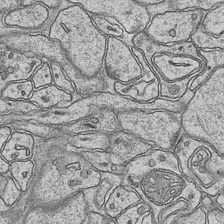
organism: Mouse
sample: CA1 Hippocampus